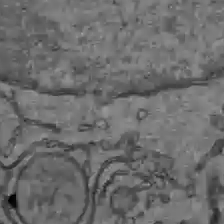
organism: C57BL Mouse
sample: Liver